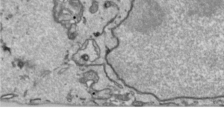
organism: Human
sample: Mitochondria in HCT116 cells